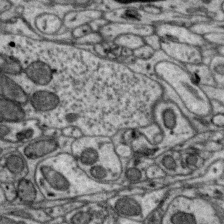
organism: Zebra finch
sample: Brain